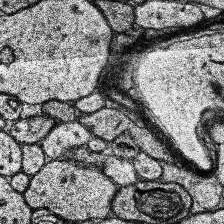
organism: Human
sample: Temporal Lobe